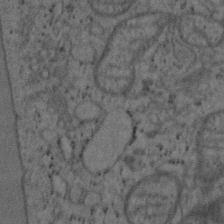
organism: Human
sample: HeLa cells